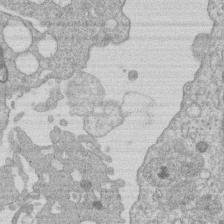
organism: Human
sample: Macrophage cells